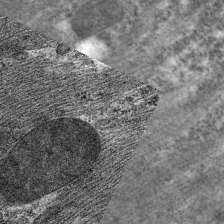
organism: C. elegans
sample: Pharynx